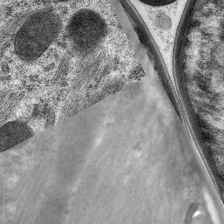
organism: C. elegans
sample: Pharynx